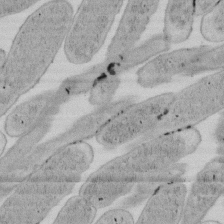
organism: E. coli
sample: Bacterial nucleoid